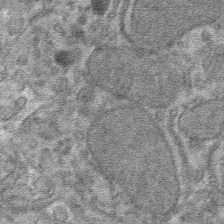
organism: Mouse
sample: Mouse hepatocytes